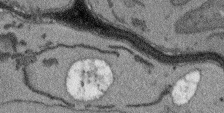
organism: Arabidopsis thaliana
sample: Root tip